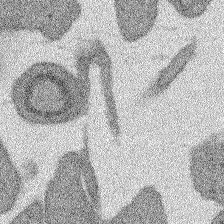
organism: Human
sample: HeLa cells